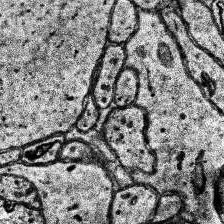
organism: Human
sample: Temporal Lobe